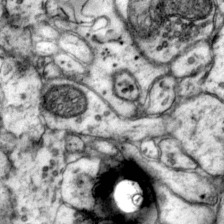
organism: Mouse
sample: Primary visual cortex